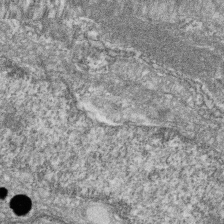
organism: Zebrafish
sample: Cilia; retinal pigment epithelium